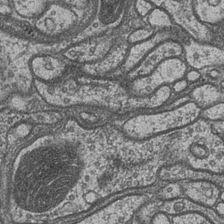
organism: Drosophila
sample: Optic medulla